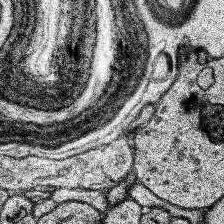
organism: Human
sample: Temporal Lobe